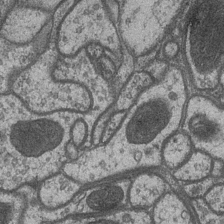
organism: Drosophila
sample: Optic medulla